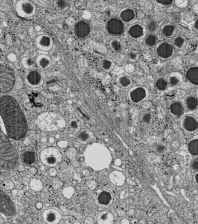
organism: C57BL Mouse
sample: Pancreatic islet